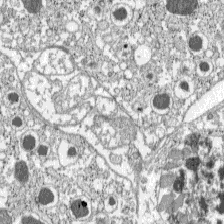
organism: C57BL Mouse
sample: Pancreatic islet